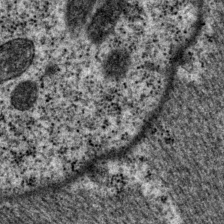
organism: P. pacificus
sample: Pharynx